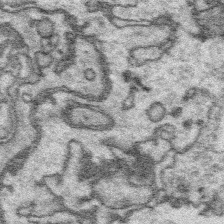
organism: Platynereis dumerilii